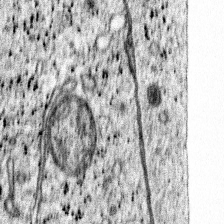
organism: Human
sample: HeLa cells